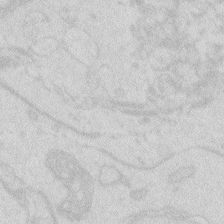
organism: Zebrafish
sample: Macrophage